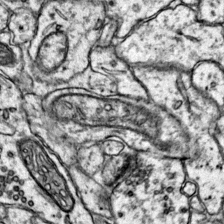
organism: Mouse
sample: Primary visual cortex